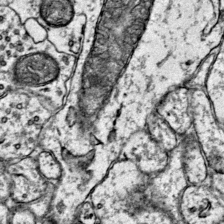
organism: Mouse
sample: Primary visual cortex